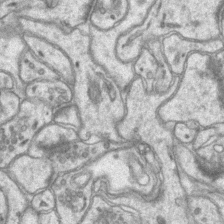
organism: Mouse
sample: CA1 Hippocampus